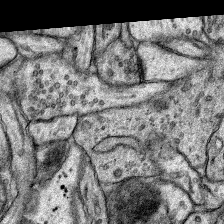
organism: Rat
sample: Hippocampus